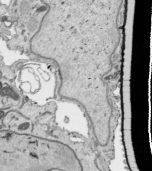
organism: Human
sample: Mitochondria in HCT116 cells